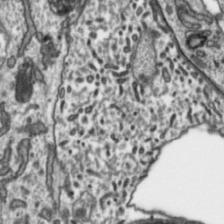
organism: Toxoplasma gondii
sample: Parasites in a vacuole inside a host cell